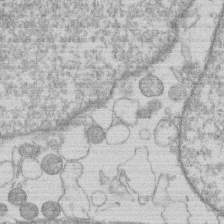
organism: Human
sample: Macrophage cells